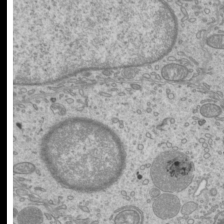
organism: Mouse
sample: Cilia; mouse epididymis